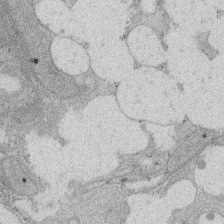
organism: Rat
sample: Salivary granule